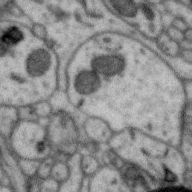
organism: Zebra finch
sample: Brain